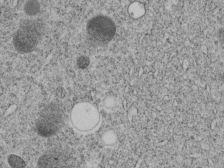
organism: C. elegans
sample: C. elegans embryo early stage